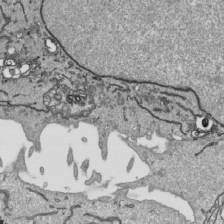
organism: Human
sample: Mitochondria in HCT116 cells